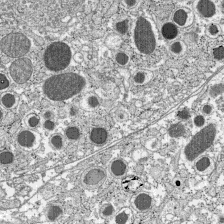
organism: C57BL Mouse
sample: Pancreatic islet